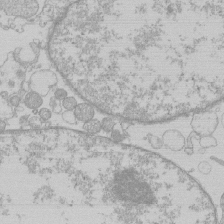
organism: Human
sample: Macrophage cells